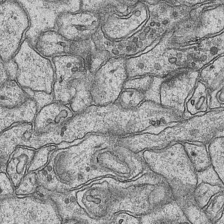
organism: Mouse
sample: CA1 Hippocampus